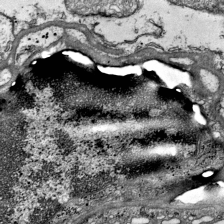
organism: Mouse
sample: Visual Cortex